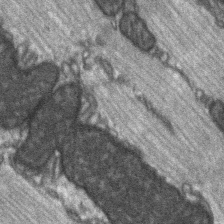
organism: C57BL Mouse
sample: Soleus